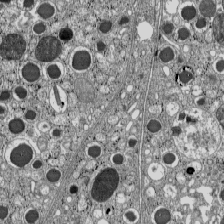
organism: C57BL Mouse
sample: Pancreatic islet